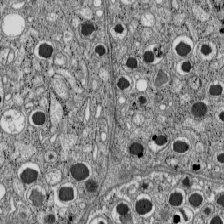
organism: C57BL Mouse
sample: Pancreatic islet